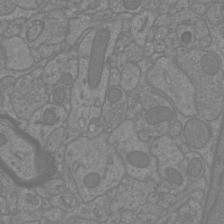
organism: Mouse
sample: Cortical neurons